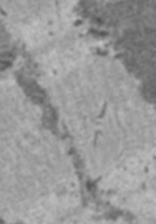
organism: C57BL Mouse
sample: Heart